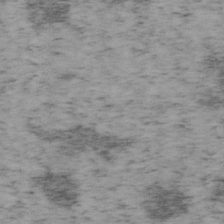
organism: Mouse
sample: OT-I killer T cells with ID8 ovarian cancer cells